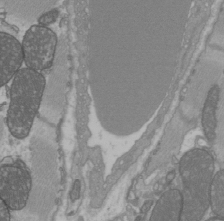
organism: C57BL Mouse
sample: Heart